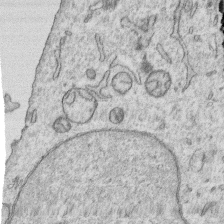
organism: Human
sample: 1205lu cells